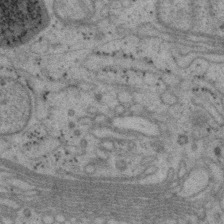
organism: Human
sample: HeLa cells